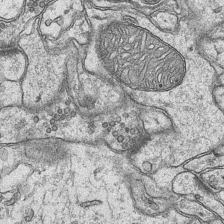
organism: Mouse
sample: CA1 Hippocampus